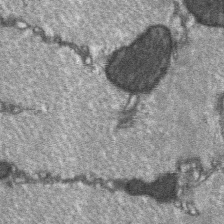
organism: C57BL Mouse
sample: Soleus